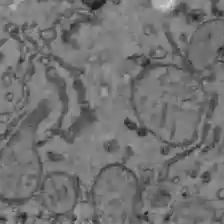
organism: C57BL Mouse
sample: Liver